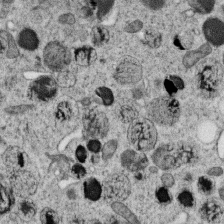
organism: C. elegans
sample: C. elegans oocyte; sperm cells